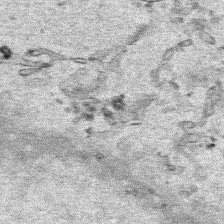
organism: Human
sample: Mitochondria in HCT116 cells